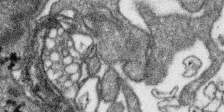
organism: Human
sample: Lung epithelial cells infected with SARS-CoV-2